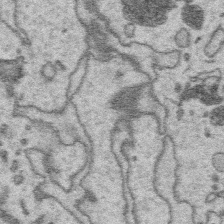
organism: Platynereis dumerilii